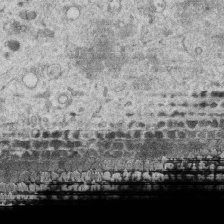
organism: Human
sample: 1205lu cells